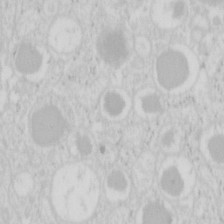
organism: Mouse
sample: Pancreas